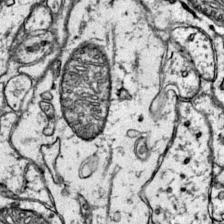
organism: Mouse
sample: Primary visual cortex